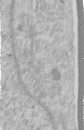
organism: Human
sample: Centriole in RPE cells